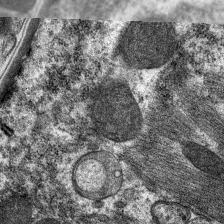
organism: C. elegans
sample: Pharynx